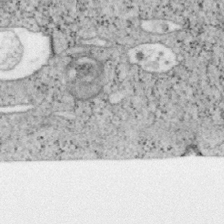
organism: Mouse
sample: OT-I killer T cells with ID8 ovarian cancer cells